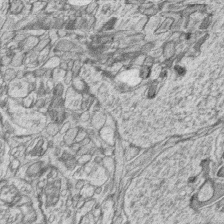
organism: Zebrafish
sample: synaptic ribbons in rod cells and cone cells